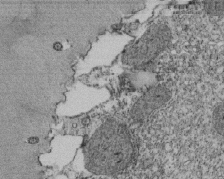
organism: Tetrahymena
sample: Cilia in tetrahymena